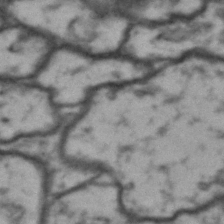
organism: Drosophila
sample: Brain